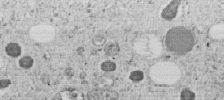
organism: C. elegans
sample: C. elegans embryo early stage